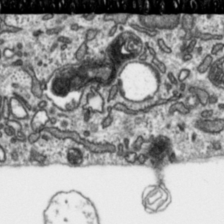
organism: Toxoplasma gondii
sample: Parasites in a vacuole inside a host cell